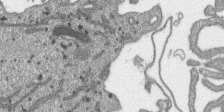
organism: Human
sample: Lung epithelial cells infected with SARS-CoV-2